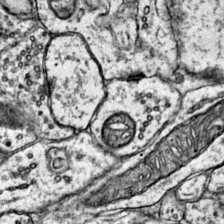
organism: Mouse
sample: Primary visual cortex